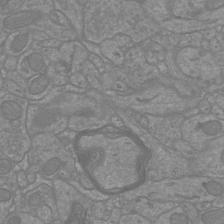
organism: Mouse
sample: Cortical neurons